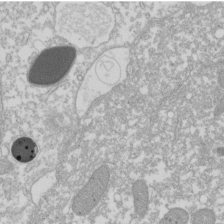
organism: Xenopus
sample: Cilia; centrioles in frog embryo cells